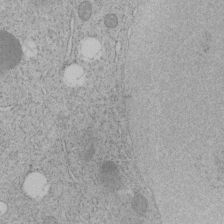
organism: C. elegans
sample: C. elegans embryo early stage